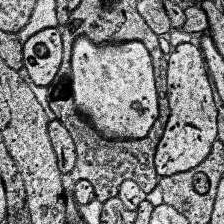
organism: Human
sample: Temporal Lobe